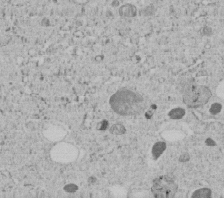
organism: C. elegans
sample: C. elegans embryo early stage